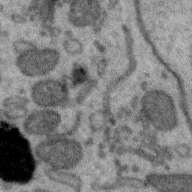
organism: Zebra finch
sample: Brain